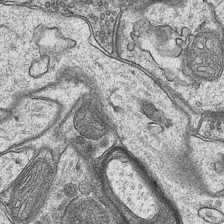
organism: Mouse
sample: CA1 Hippocampus